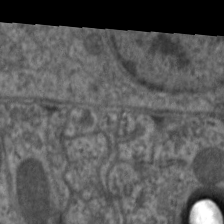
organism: C. elegans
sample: Pharynx